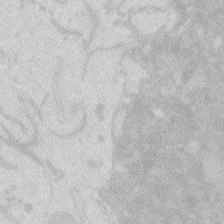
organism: Zebrafish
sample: Macrophage